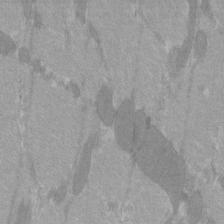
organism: C57BL Mouse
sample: Tibialis anterior muscle cell